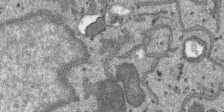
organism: Human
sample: Lung epithelial cells infected with SARS-CoV-2